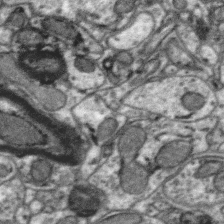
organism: Zebra finch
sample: Brain